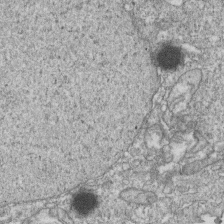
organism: Human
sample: HeLa cell HIV synapse